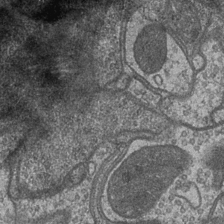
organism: Drosophila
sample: Optic medulla